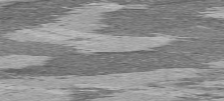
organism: C57BL Mouse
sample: Heart